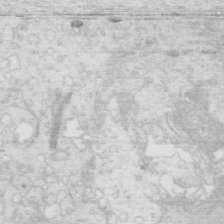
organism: Mouse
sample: Multiciliated cells